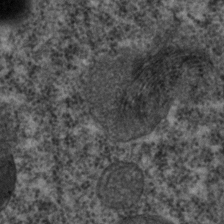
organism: C. elegans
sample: C. elegans embryo